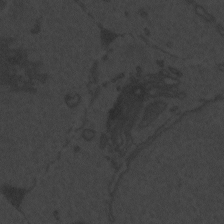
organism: Zebrafish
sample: Macrophage infected with Toxoplasma gondii